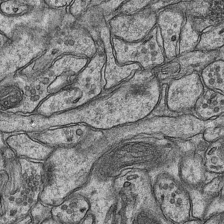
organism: Mouse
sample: CA1 Hippocampus